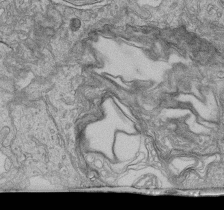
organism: Human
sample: Retinal organoid Rod and Cone cells